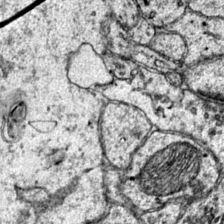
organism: Mouse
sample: Primary visual cortex